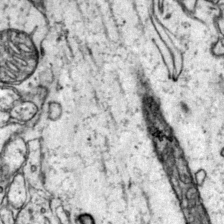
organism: Mouse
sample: Primary visual cortex